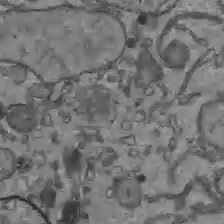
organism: C57BL Mouse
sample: Liver